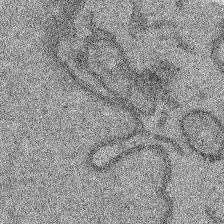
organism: Human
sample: HeLa cells